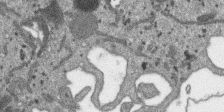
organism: Human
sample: Lung epithelial cells infected with SARS-CoV-2